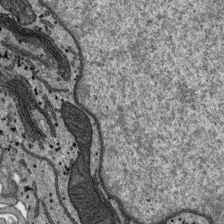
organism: Human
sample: Lung epithelial cells, uninfected (mock) control